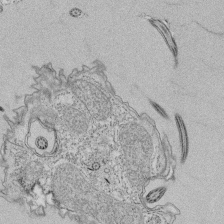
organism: Tetrahymena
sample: Cilia in tetrahymena